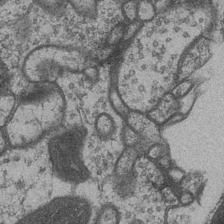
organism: Drosophila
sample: Optic medulla